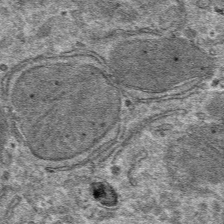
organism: Mouse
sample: Mouse hepatocytes